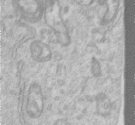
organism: Human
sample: Centriole in RPE cells